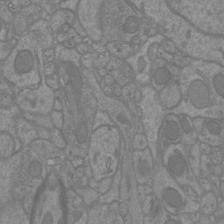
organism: Mouse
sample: Cortical neurons